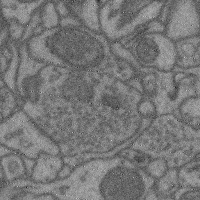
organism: Mouse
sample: Cerebral cortex